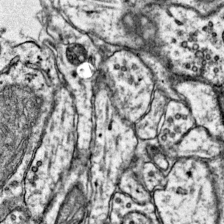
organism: Mouse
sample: Primary visual cortex